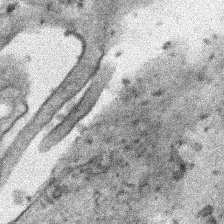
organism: Human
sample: Mitochondria in HCT116 cells